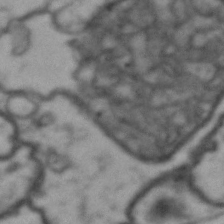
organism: Drosophila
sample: Brain